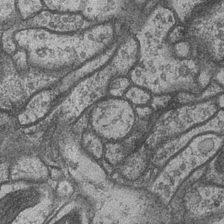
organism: Drosophila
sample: Optic medulla